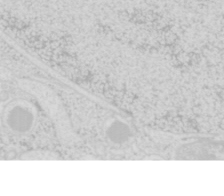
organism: Mouse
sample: Pancreas